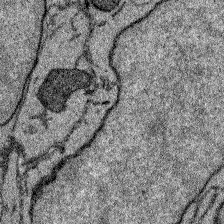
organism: Zebrafish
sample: Larval olfactory bulb